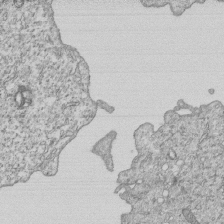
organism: Human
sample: MDA-MB-231 cells